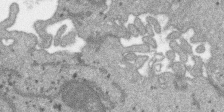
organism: Human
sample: Lung epithelial cells infected with SARS-CoV-2